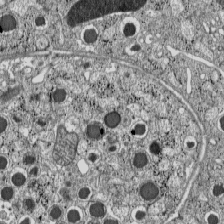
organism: C57BL Mouse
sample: Pancreatic islet